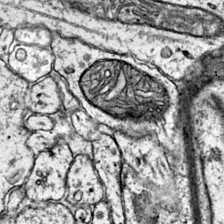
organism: Mouse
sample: Primary visual cortex